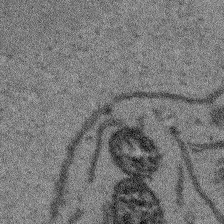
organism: Arabidopsis thaliana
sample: Root tip